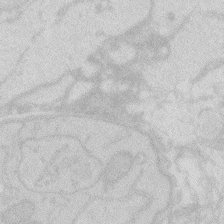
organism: Zebrafish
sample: Macrophage